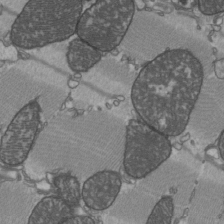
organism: C57BL Mouse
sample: Heart